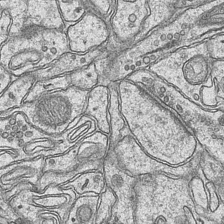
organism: Mouse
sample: CA1 Hippocampus